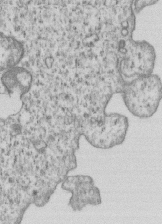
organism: Human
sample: MDA-MB-231 cells